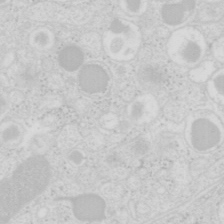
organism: Mouse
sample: Pancreas